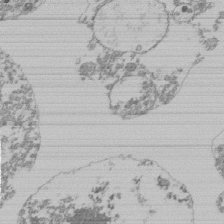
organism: Mouse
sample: Activated Pmel transgenic CD8+ T Cells